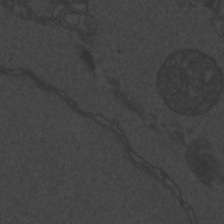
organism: Zebrafish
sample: Macrophage infected with Toxoplasma gondii